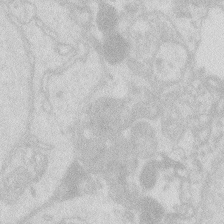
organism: Zebrafish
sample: Macrophage